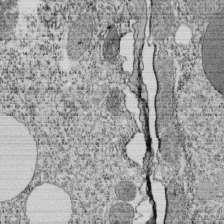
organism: Tetrahymena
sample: Cilia in tetrahymena